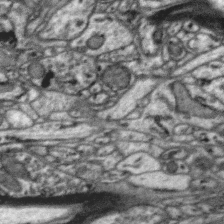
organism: Zebra finch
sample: Brain